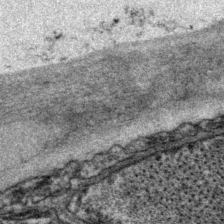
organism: P. pacificus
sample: Pharynx